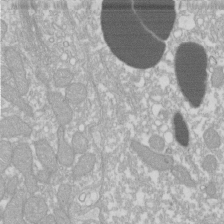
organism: Xenopus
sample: Cilia; centrioles in frog embryo cells